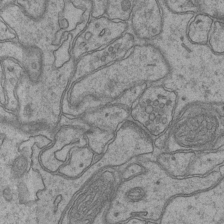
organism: Mouse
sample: CA1 Hippocampus